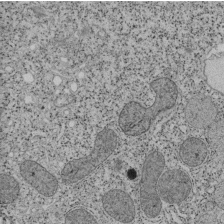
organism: Tetrahymena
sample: Cilia in tetrahymena